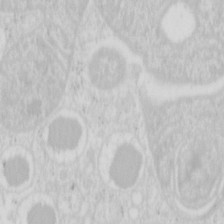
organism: Mouse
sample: Pancreas